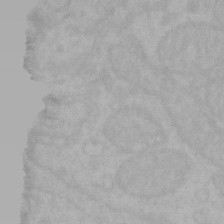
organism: Mouse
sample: Choroid plexus